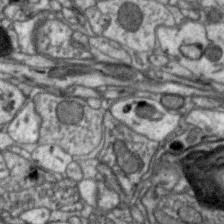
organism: Zebra finch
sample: Brain